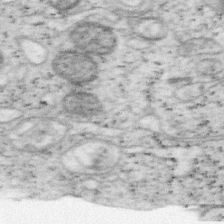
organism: Mouse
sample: OT-I killer T cells with ID8 ovarian cancer cells